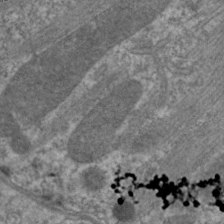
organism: C. elegans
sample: Pharynx